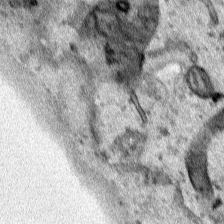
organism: Human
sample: Mitochondria in HCT116 cells